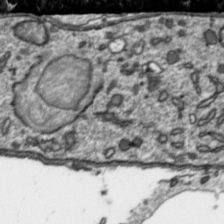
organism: Toxoplasma gondii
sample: Parasites in a vacuole inside a host cell